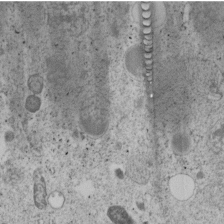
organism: C. elegans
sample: C. elegans embryo early stage